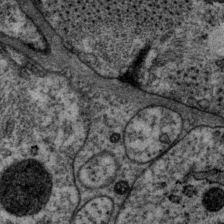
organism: P. pacificus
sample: Pharynx